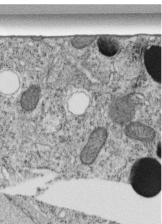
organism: C. elegans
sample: C. elegans embryo early stage